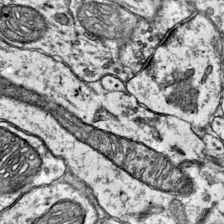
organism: Mouse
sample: Primary visual cortex